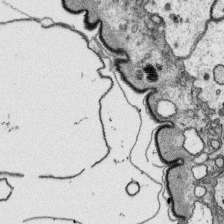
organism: Platynereis dumerilii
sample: Parapodia